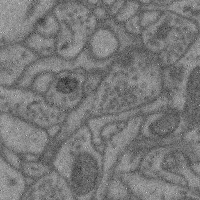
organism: Mouse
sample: Cerebral cortex